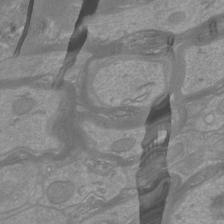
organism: Mouse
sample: Cortical neurons